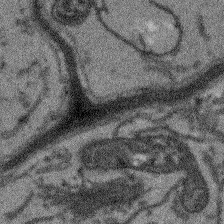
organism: Arabidopsis thaliana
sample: Root tip